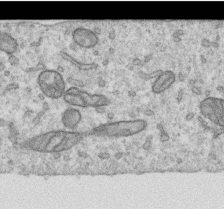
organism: Human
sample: Centriole in RPE cells